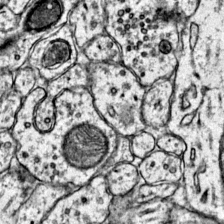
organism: Mouse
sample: Primary visual cortex